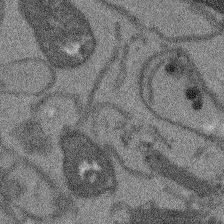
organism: Arabidopsis thaliana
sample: Root tip